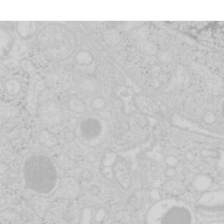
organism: Mouse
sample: Pancreas